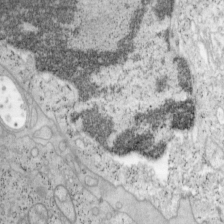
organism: Mouse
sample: OT-I killer T cells with ID8 ovarian cancer cells